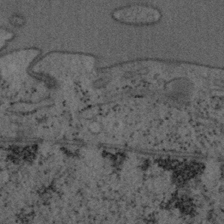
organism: Human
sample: HeLa cells